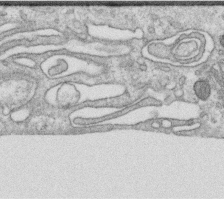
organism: Human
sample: Centriole in RPE cells